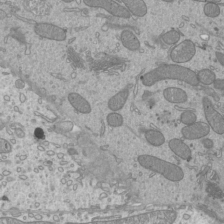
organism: Mouse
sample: Cilia; mouse epididymis